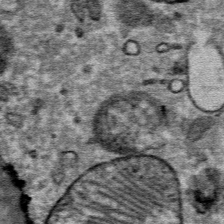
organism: Mouse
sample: Mouse Salivary gland